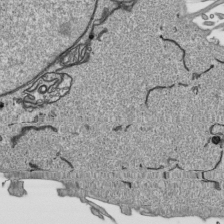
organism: Human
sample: Mitochondria in HCT116 cells